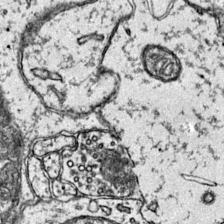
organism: Mouse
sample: Primary visual cortex